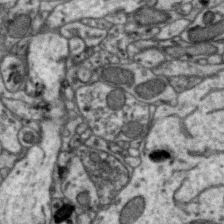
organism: Zebra finch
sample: Brain